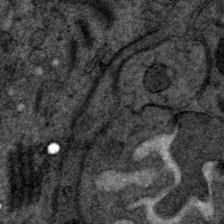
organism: P. pacificus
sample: Pharynx